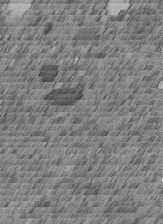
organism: C. elegans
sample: C. elegans embryo early stage